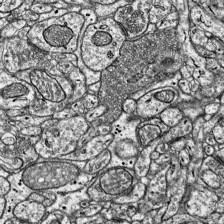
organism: Mouse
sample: Visual Cortex